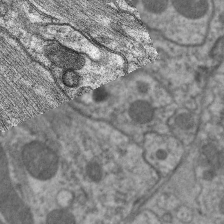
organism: C. elegans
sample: Pharynx